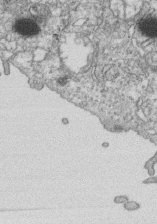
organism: Human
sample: HeLa cell HIV synapse